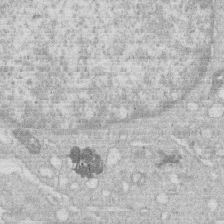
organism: Human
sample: Macrophage cells